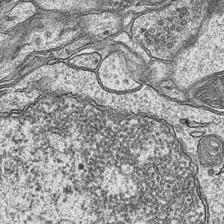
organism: Mouse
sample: CA1 Hippocampus